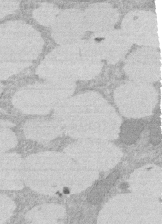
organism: Rat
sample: Salivary granule